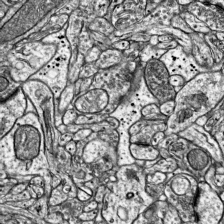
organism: Mouse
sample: Visual Cortex